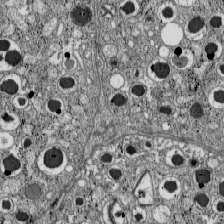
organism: C57BL Mouse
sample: Pancreatic islet